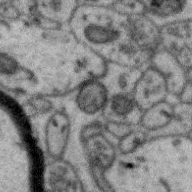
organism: Zebra finch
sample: Brain